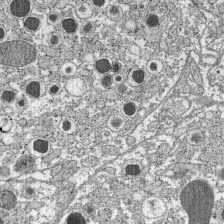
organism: C57BL Mouse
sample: Pancreatic islet